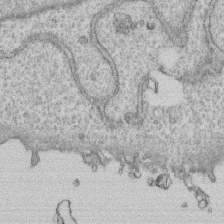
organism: Human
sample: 1205lu cells